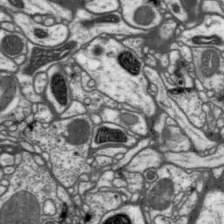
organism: Drosophila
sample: Protocerebral bridge